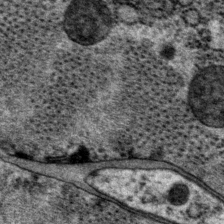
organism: P. pacificus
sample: Pharynx